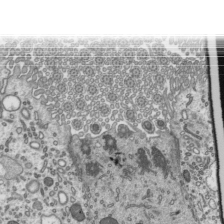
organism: Mouse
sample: Mouse epididymis efferent ductule cilia